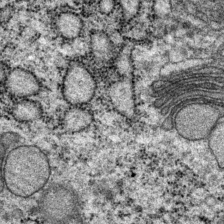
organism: P. pacificus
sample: Pharynx